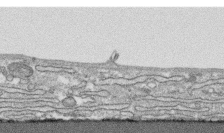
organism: Human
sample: CRL-1474